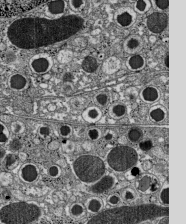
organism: C57BL Mouse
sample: Pancreatic islet